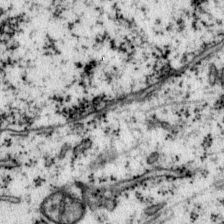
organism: Mouse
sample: Primary visual cortex